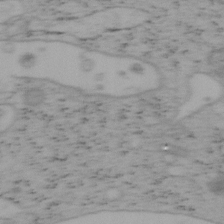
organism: Mouse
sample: OT-I killer T cells with ID8 ovarian cancer cells